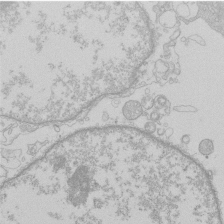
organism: Human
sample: Macrophage cells